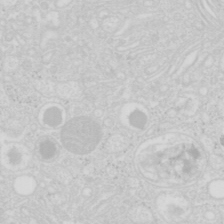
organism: Mouse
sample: Pancreas